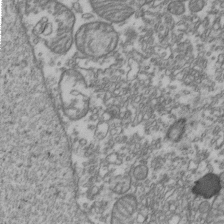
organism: Human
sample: Activated Jurkat CD4+ T cells